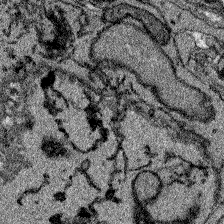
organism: Zebrafish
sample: Larval olfactory bulb